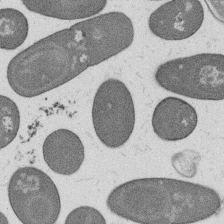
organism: B. subtilis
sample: Bacterial spore